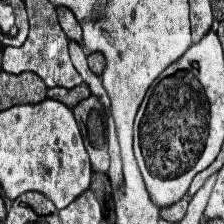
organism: Human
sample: Temporal Lobe